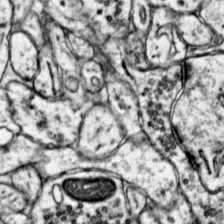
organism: Mouse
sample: Primary visual cortex